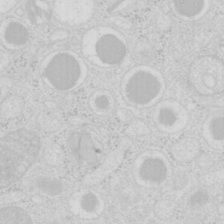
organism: Mouse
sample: Pancreas